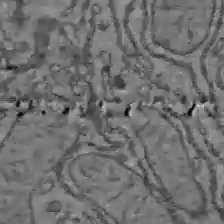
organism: C57BL Mouse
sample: Liver